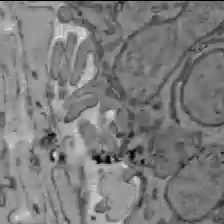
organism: C57BL Mouse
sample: Liver